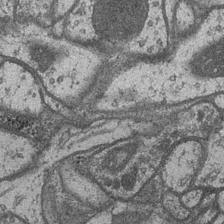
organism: Drosophila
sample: Optic medulla